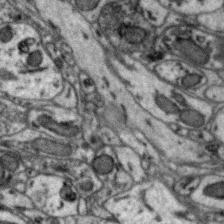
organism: Zebra finch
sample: Brain